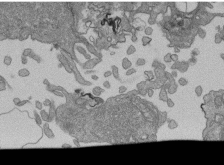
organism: Human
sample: Retinal organoid Rod and Cone cells